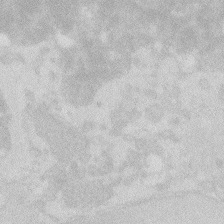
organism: Zebrafish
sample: Macrophage